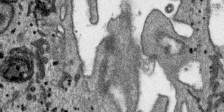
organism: Human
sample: Lung epithelial cells, uninfected (mock) control